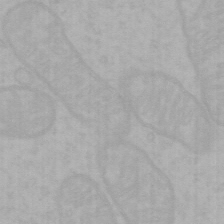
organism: Mouse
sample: Choroid plexus